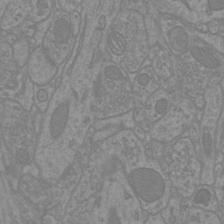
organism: Mouse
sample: Cortical neurons